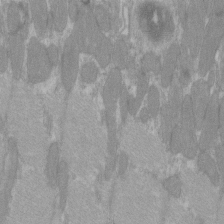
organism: C57BL Mouse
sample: Tibialis anterior muscle cell